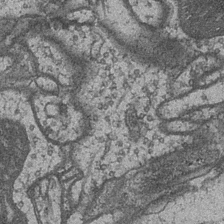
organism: Drosophila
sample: Optic medulla